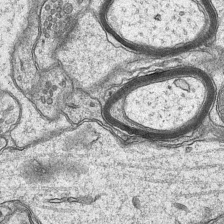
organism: Mouse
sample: CA1 Hippocampus